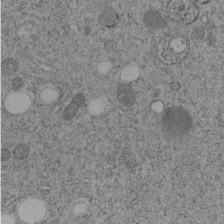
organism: C. elegans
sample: C. elegans embryo early stage